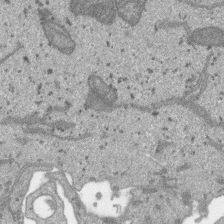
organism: Human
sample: Lung epithelial cells infected with SARS-CoV-2